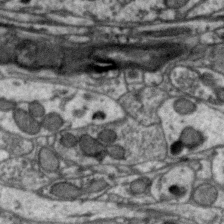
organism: Zebra finch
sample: Brain